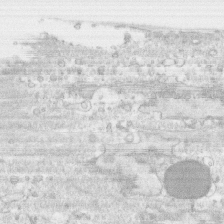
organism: Human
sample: CRL-1474